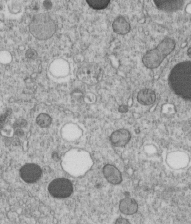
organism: C. elegans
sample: C. elegans embryo early stage